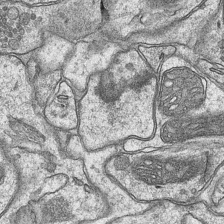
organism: Mouse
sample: CA1 Hippocampus